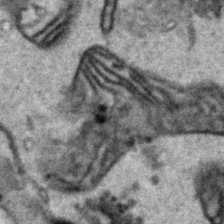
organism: Human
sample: Mitochondria in HCT116 cells